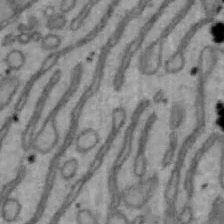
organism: Mouse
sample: Liver